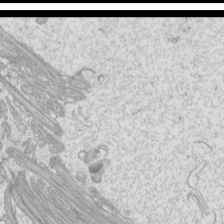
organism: Mouse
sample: Cilia; mouse epididymis